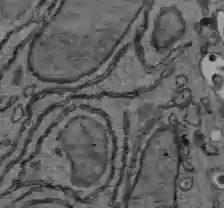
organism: C57BL Mouse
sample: Liver